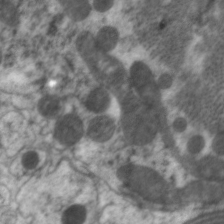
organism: C. elegans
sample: Pharynx